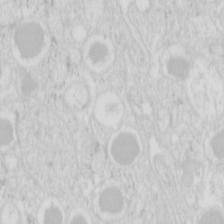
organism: Mouse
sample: Pancreas